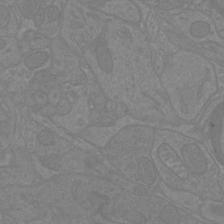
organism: Mouse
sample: Cortical neurons